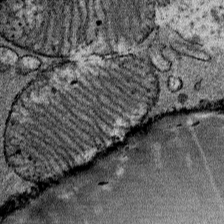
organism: Mouse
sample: Mouse Salivary gland